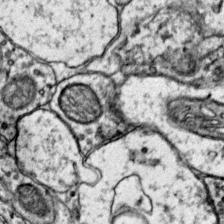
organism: Mouse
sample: Primary visual cortex